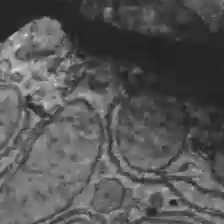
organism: C57BL Mouse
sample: Liver